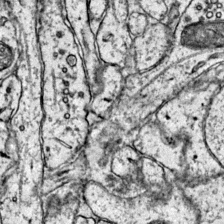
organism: Mouse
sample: Primary visual cortex